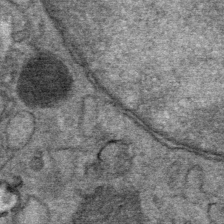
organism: Mouse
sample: Mouse Salivary gland